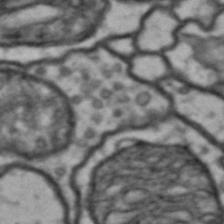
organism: Drosophila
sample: Brain